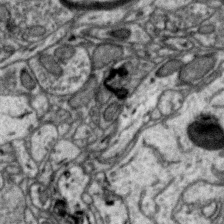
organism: Zebra finch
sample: Brain